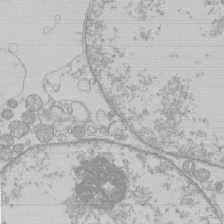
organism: Human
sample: Macrophage cells